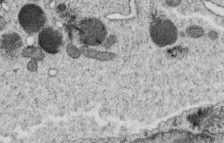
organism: C. elegans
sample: C. elegans oocyte; sperm cells